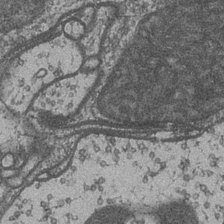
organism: Drosophila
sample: Optic medulla